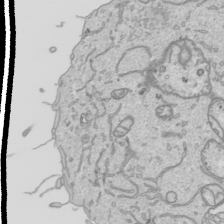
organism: Human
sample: Mitochondria in HCT116 cells